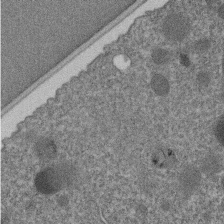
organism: C. elegans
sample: C. elegans embryo early stage